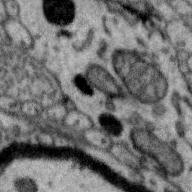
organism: Zebra finch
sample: Brain